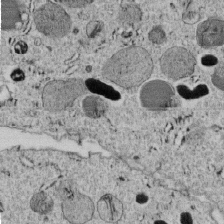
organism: C. elegans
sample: C. elegans embryo early stage